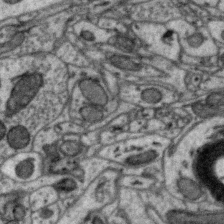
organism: Zebra finch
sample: Brain